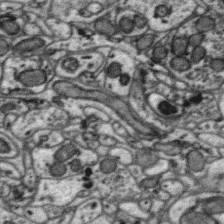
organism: Zebra finch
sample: Brain